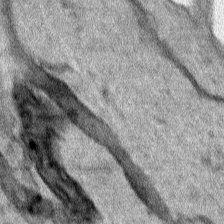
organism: Human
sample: Mitochondria in HCT116 cells